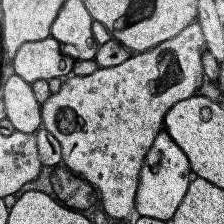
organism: Human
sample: Temporal Lobe